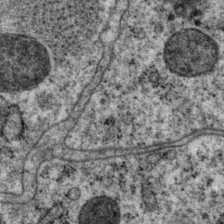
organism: P. pacificus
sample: Pharynx